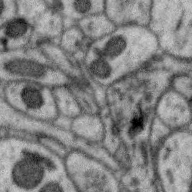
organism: Zebra finch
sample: Brain